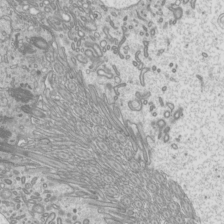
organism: Mouse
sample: Cilia; mouse epididymis